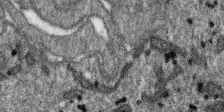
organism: Human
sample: Lung epithelial cells infected with SARS-CoV-2